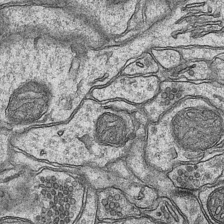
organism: Mouse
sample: CA1 Hippocampus